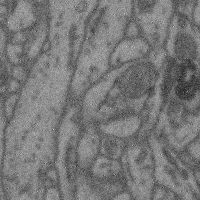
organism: Mouse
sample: Cerebral cortex